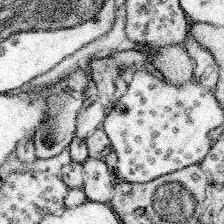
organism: Mouse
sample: Somatosensory cortex neuropil